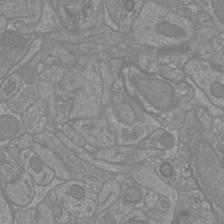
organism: Mouse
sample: Cortical neurons